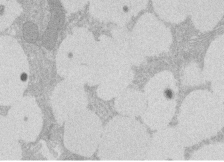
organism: Rat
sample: Salivary granule